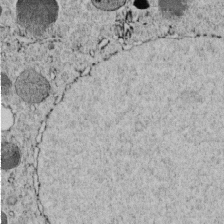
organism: C. elegans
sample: C. elegans embryo early stage